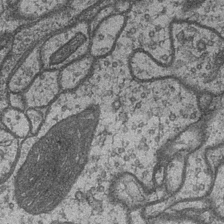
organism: Drosophila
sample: Optic medulla